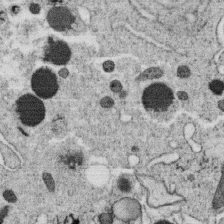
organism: C. elegans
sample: C. elegans oocyte; sperm cells